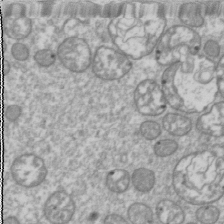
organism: Drosophila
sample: Cell division; meiosis; drosophila spermatocytes